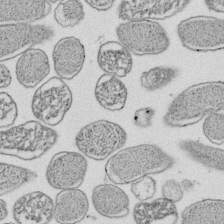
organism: E. coli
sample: Bacterial nucleoid